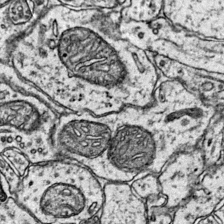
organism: Mouse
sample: Primary visual cortex